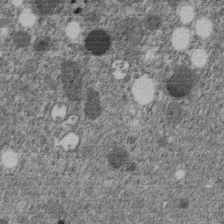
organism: C. elegans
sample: C. elegans embryo early stage